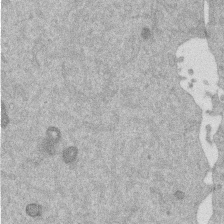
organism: Mouse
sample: Dividing mouse embryo 1 cell stage